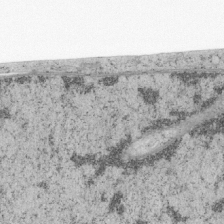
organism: Human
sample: HeLa cells